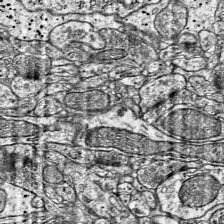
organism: Mouse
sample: Visual Cortex